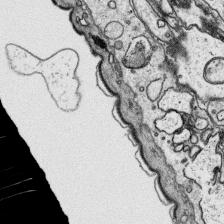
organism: Platynereis dumerilii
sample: Parapodia